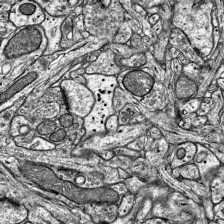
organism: Mouse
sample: Visual Cortex